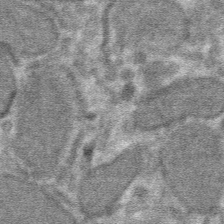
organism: Mouse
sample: Mouse hepatocytes